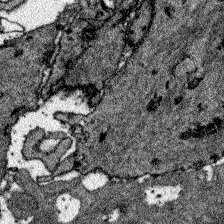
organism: Zebrafish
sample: Larval olfactory bulb